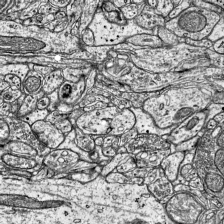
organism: Mouse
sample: Visual Cortex